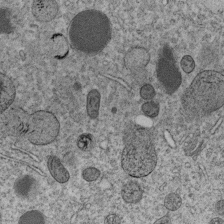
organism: C. elegans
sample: C. elegans embryo early stage